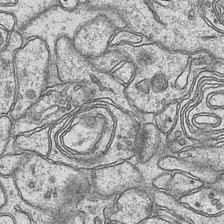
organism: Mouse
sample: CA1 Hippocampus